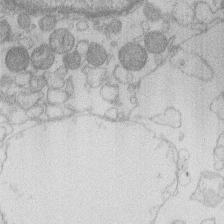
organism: Human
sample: Macrophage cells